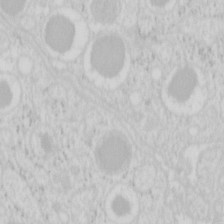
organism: Mouse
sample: Pancreas